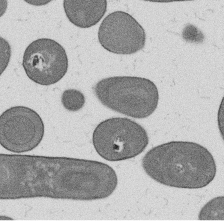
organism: B. subtilis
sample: Bacterial spore